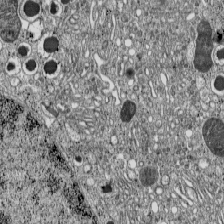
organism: C57BL Mouse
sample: Pancreatic islet